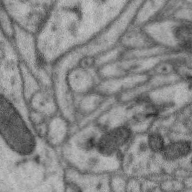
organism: Zebra finch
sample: Brain